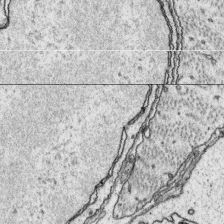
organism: Platynereis dumerilii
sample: Parapodia